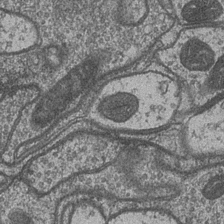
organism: Drosophila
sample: Optic medulla